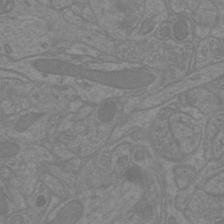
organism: Mouse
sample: Cortical neurons